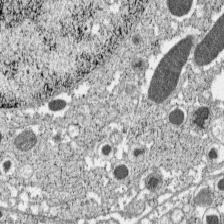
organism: C57BL Mouse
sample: Pancreatic islet